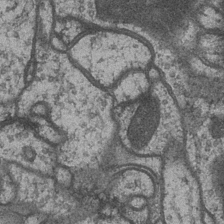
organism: Drosophila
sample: Optic medulla